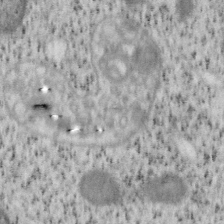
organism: Mouse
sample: OT-I killer T cells with ID8 ovarian cancer cells